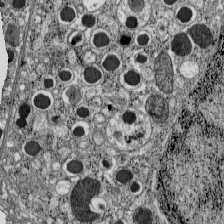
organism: C57BL Mouse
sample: Pancreatic islet